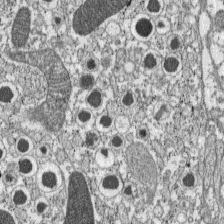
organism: C57BL Mouse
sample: Pancreatic islet